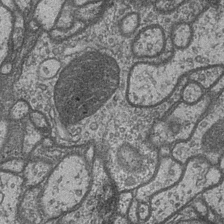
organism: Drosophila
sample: Optic medulla